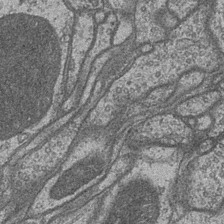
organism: Drosophila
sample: Optic medulla